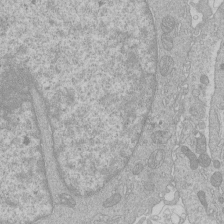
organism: Human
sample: Macrophage cells